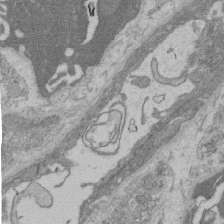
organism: Rat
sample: Salivary granule